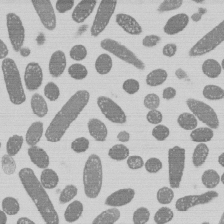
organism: E. coli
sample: Bacterial nucleoid